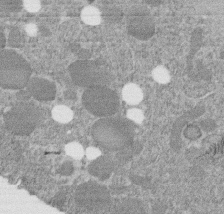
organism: C. elegans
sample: C. elegans embryo early stage